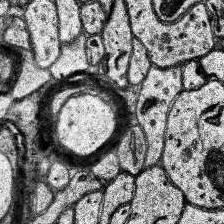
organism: Human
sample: Temporal Lobe